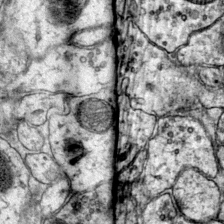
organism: Mouse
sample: Primary visual cortex